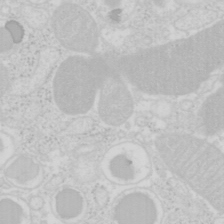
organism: Mouse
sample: Pancreas